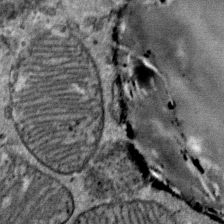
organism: Mouse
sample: Mouse Salivary gland